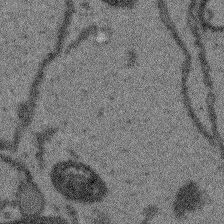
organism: Arabidopsis thaliana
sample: Root tip